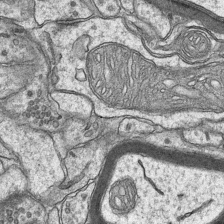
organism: Mouse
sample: CA1 Hippocampus